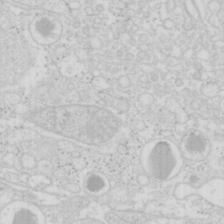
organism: Mouse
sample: Pancreas